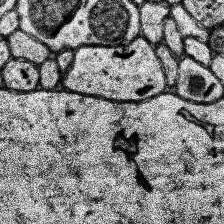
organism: Human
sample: Temporal Lobe